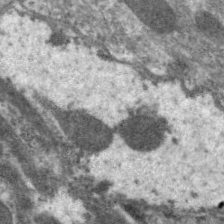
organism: C. elegans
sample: Pharynx